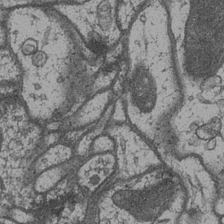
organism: Drosophila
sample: Optic medulla